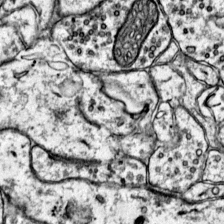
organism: Mouse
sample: Primary visual cortex